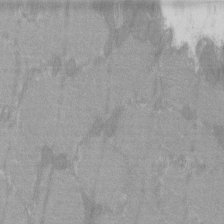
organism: C57BL Mouse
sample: Tibialis anterior muscle cell